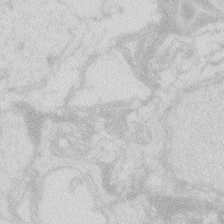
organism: Zebrafish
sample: Macrophage